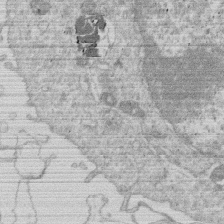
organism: Human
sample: Macrophage cells